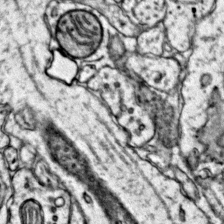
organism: Mouse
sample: Primary visual cortex